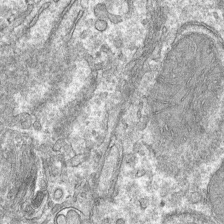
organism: Mouse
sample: Mouse hepatocytes